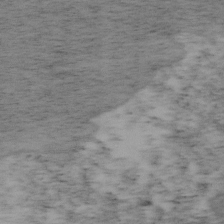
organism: Mouse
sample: OT-I killer T cells with ID8 ovarian cancer cells